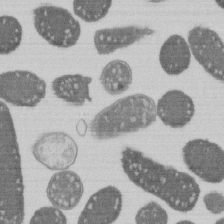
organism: E. coli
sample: Bacterial nucleoid